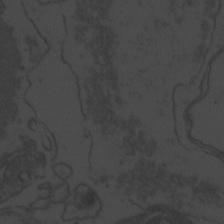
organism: Zebrafish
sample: Macrophage infected with Toxoplasma gondii